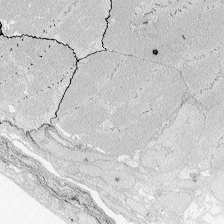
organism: Zebrafish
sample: Whole-Brain